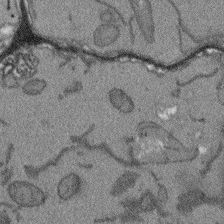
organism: Arabidopsis thaliana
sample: Root tip